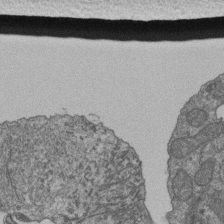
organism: Human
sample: Retinal organoid Rod and Cone cells